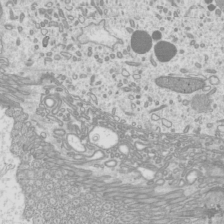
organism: Mouse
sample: Cilia; mouse epididymis